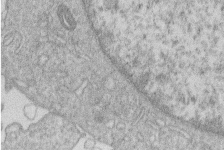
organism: Human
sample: Macrophage cells